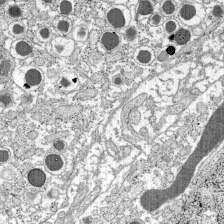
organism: C57BL Mouse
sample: Pancreatic islet